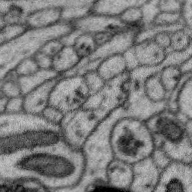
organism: Zebra finch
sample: Brain